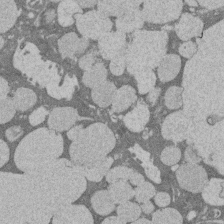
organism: Rat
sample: Salivary granule